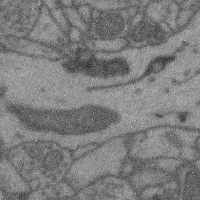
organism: Mouse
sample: Cerebral cortex